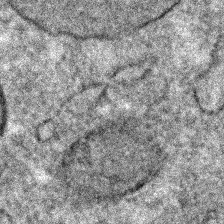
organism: C. elegans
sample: C. elegans embryo